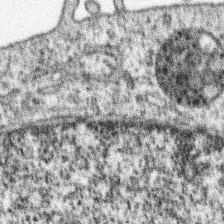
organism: Human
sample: HeLa cells